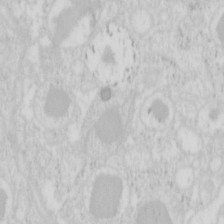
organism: Mouse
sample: Pancreas